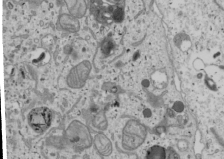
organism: Human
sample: Mitochondria in U2OS cells